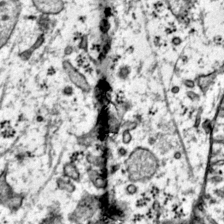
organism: Mouse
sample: Primary visual cortex